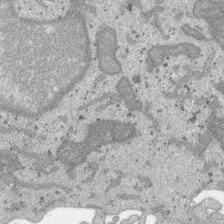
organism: Human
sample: Lung epithelial cells infected with SARS-CoV-2